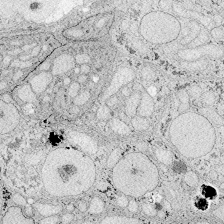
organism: Zebrafish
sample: Whole-Brain